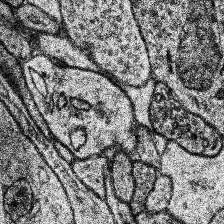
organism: Human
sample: Temporal Lobe